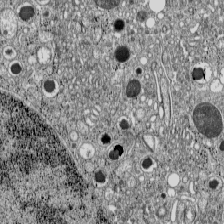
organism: C57BL Mouse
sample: Pancreatic islet